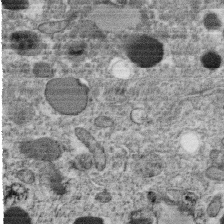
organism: C. elegans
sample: C. elegans oocyte; sperm cells